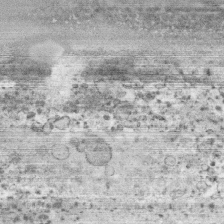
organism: Human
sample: CRL-1474